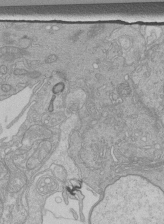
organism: Human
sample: Retinal organoid Rod and Cone cells